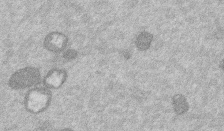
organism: Mouse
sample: Dividing mouse embryo 1 cell stage